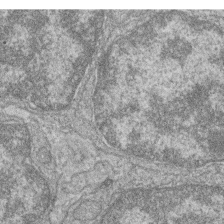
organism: Zebrafish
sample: Cilia; retinal pigment epithelium